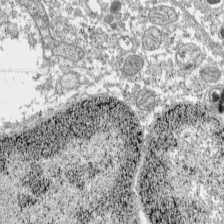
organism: C57BL Mouse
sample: Pancreatic islet